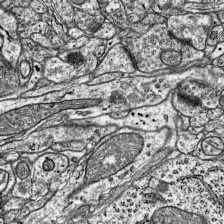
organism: Mouse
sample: Visual Cortex